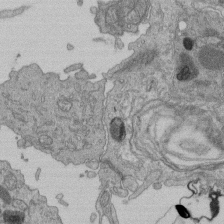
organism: Human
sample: Retinal organoid Rod and Cone cells